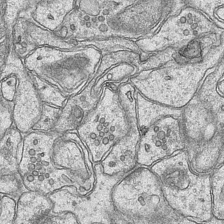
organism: Mouse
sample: CA1 Hippocampus